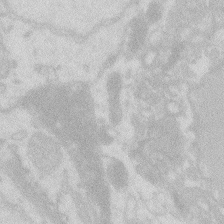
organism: Zebrafish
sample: Macrophage